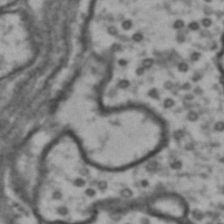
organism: Drosophila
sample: Brain